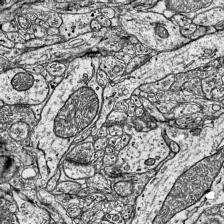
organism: Mouse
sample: Visual Cortex